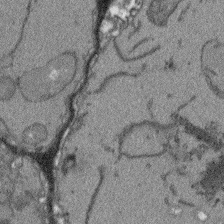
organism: Arabidopsis thaliana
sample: Root tip